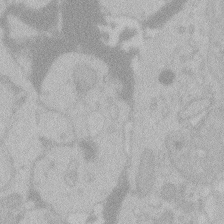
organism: Zebrafish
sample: Macrophage infected with Toxoplasma gondii